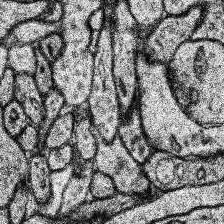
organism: Human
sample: Temporal Lobe